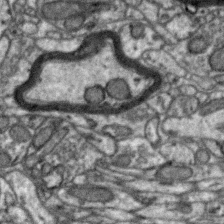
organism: Zebra finch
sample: Brain